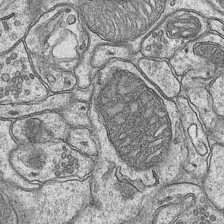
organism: Mouse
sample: CA1 Hippocampus